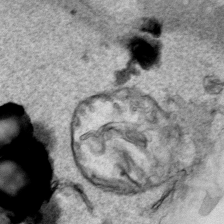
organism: Human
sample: Mitochondria in HCT116 cells